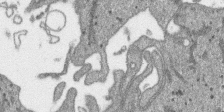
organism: Human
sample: Lung epithelial cells infected with SARS-CoV-2